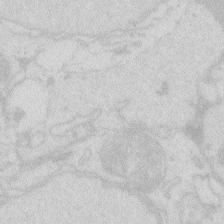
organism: Zebrafish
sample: Macrophage